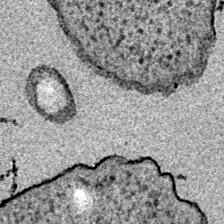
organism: E. coli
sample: E. Coli Bacteria